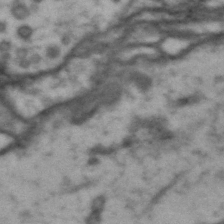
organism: Drosophila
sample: Brain